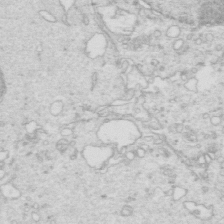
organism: Mouse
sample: Multiciliated cells